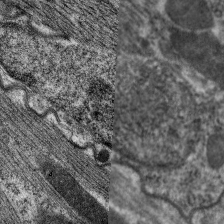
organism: C. elegans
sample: Pharynx